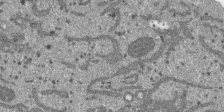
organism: Human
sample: Lung epithelial cells infected with SARS-CoV-2